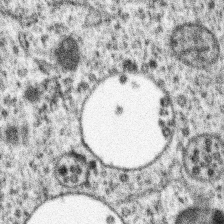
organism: Human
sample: HeLa cells